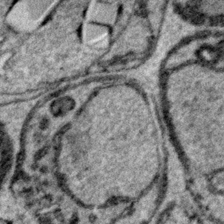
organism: Plasmodium falciparum